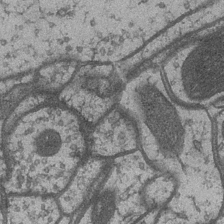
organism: Drosophila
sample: Optic medulla